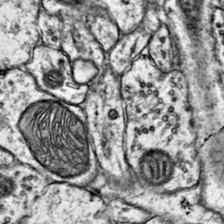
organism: Mouse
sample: Primary visual cortex